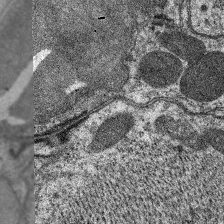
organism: C. elegans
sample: Pharynx